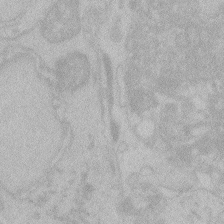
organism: Zebrafish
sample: Macrophage infected with Toxoplasma gondii